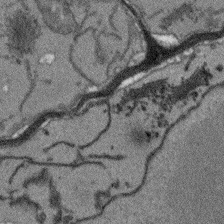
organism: Arabidopsis thaliana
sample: Root tip